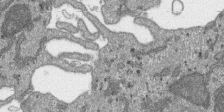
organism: Human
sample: Lung epithelial cells infected with SARS-CoV-2